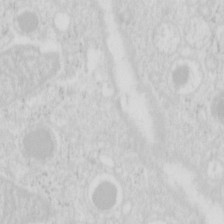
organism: Mouse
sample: Pancreas